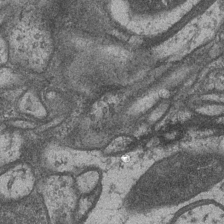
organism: Drosophila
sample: Optic medulla